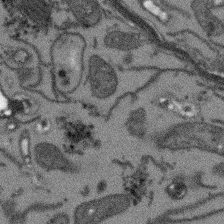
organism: Arabidopsis thaliana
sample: Root tip